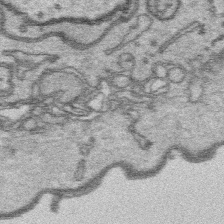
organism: Platynereis dumerilii